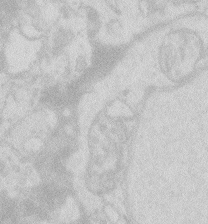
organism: Zebrafish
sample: Macrophage